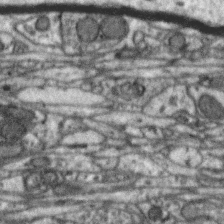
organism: Zebra finch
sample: Brain